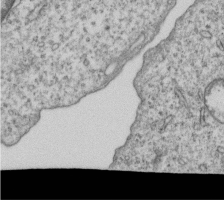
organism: Human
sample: MDA-MB-231 cells